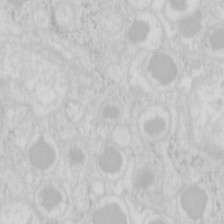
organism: Mouse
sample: Pancreas